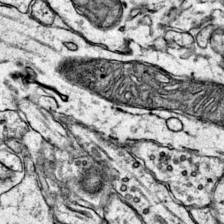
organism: Mouse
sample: Primary visual cortex